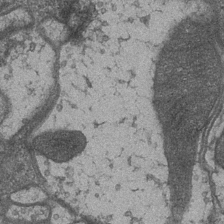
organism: Drosophila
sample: Optic medulla